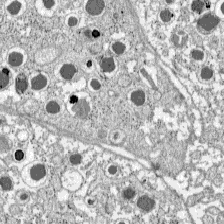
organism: C57BL Mouse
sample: Pancreatic islet